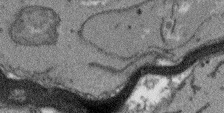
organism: Arabidopsis thaliana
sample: Root tip